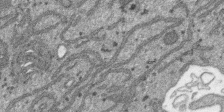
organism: Human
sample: Lung epithelial cells infected with SARS-CoV-2